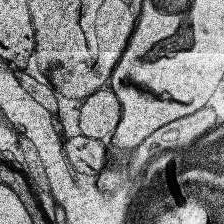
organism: Human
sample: Temporal Lobe